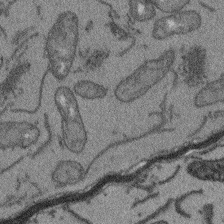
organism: Arabidopsis thaliana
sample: Root tip